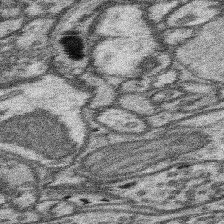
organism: Mouse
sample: Somatosensory cortex neuropil